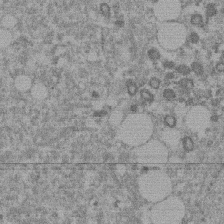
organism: Mouse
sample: Dividing mouse embryo 1 cell stage